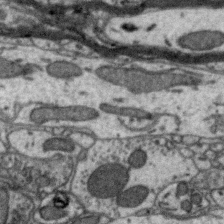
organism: Zebra finch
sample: Brain